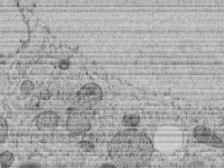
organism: C. elegans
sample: C. elegans embryo early stage